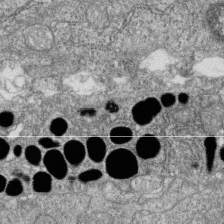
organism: Zebrafish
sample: Cilia; retinal pigment epithelium